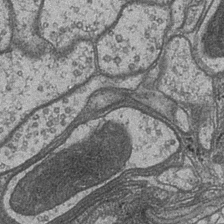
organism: Drosophila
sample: Optic medulla